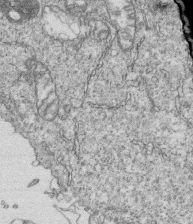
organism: Human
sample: HeLa cell HIV synapse